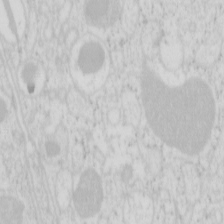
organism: Mouse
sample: Pancreas